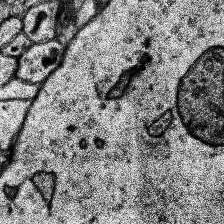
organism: Human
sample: Temporal Lobe